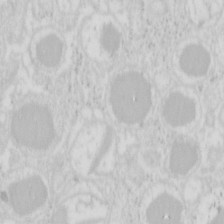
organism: Mouse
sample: Pancreas